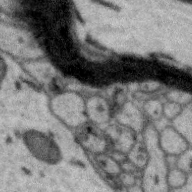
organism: Zebra finch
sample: Brain